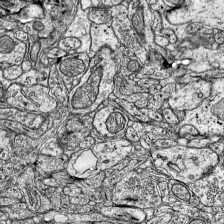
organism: Mouse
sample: Visual Cortex